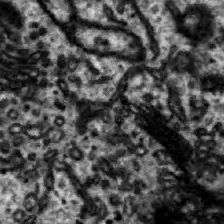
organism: Human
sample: HeLa cells